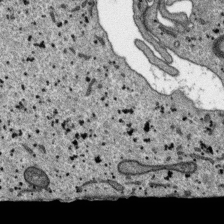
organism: Human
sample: Lung epithelial cells, uninfected (mock) control